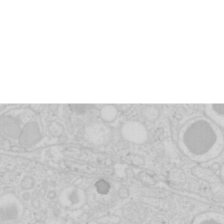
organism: Mouse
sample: Pancreas